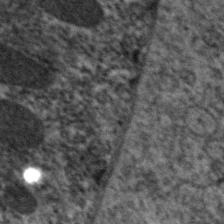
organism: C. elegans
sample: Pharynx